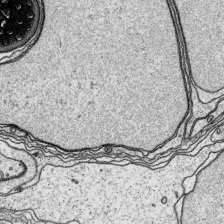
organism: Platynereis dumerilii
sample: Parapodia